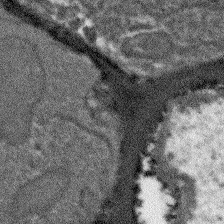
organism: Arabidopsis thaliana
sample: Root tip